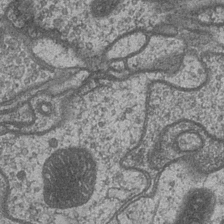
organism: Drosophila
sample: Optic medulla